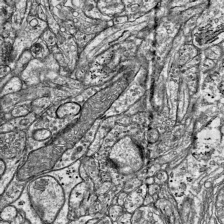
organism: Mouse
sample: Visual Cortex